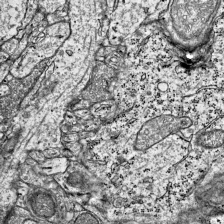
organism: Mouse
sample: Visual Cortex